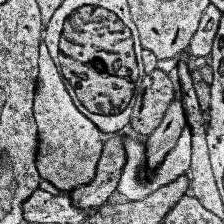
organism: Human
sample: Temporal Lobe